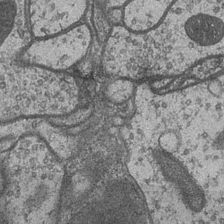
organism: Drosophila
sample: Optic medulla